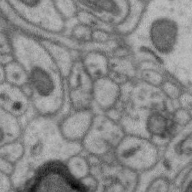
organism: Zebra finch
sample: Brain